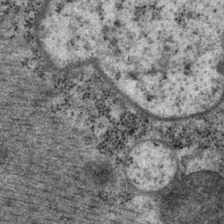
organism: P. pacificus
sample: Pharynx